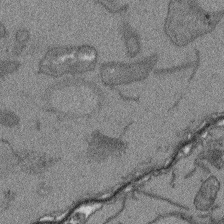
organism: Arabidopsis thaliana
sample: Root tip